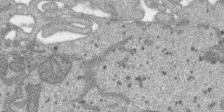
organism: Human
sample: Lung epithelial cells infected with SARS-CoV-2